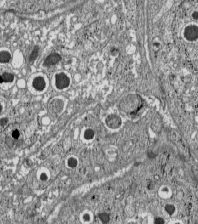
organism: C57BL Mouse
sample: Pancreatic islet